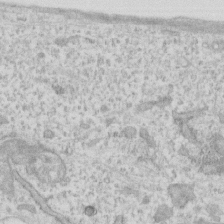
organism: Human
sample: Fibroblast cells